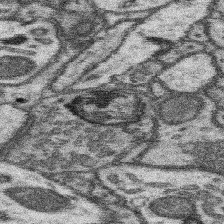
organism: Mouse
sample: Somatosensory cortex neuropil